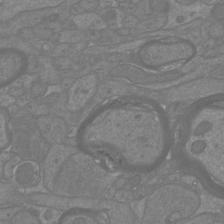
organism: Mouse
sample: Cortical neurons